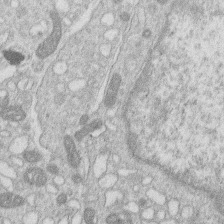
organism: Human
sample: Macrophage cells